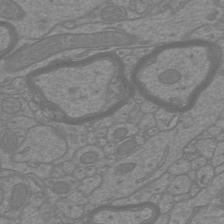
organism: Mouse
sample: Cortical neurons